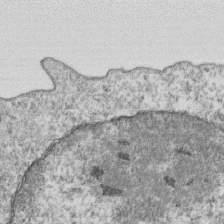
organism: Mouse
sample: Activated OT-1 CD8+ T cells